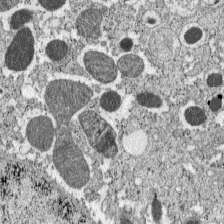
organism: C57BL Mouse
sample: Pancreatic islet